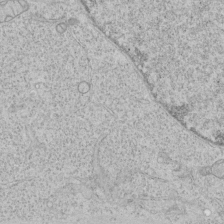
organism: Human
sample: Mitochondria in HCT116 cells